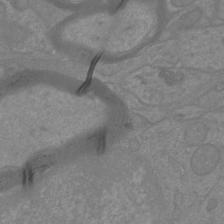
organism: Mouse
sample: Cortical neurons